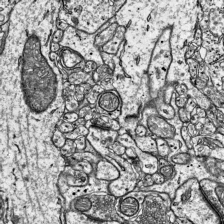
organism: Mouse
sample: Visual Cortex